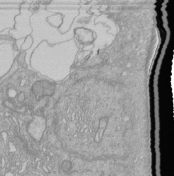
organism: Human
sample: Retinal organoid Rod and Cone cells